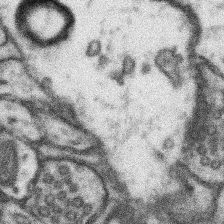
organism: Mouse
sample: Somatosensory cortex neuropil